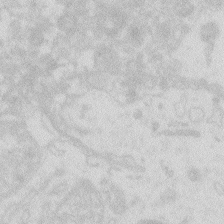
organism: Zebrafish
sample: Macrophage